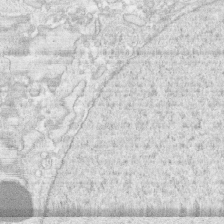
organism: Human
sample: CRL-1474